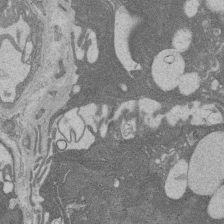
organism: Rat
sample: Salivary granule